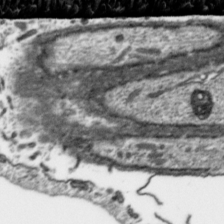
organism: Toxoplasma gondii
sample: Parasites in a vacuole inside a host cell